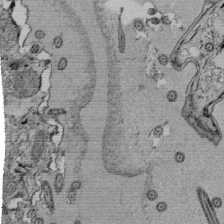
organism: Tetrahymena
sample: Cilia in tetrahymena